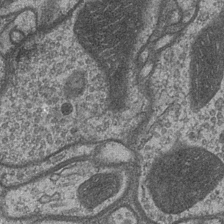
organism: Drosophila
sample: Optic medulla